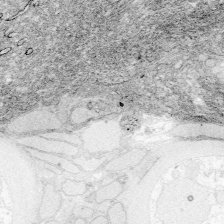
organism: Zebrafish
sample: Whole-Brain